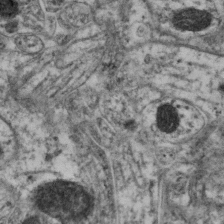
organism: Mouse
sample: Neocortex